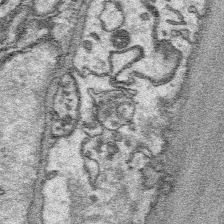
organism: Platynereis dumerilii